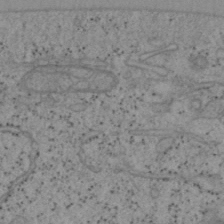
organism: Human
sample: HeLa cells